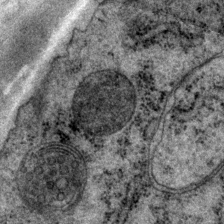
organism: P. pacificus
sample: Pharynx